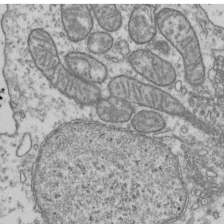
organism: Human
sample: Activated Jurkat CD4+ T cells